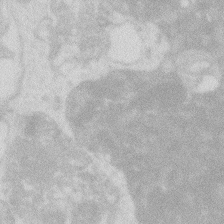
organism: Zebrafish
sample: Macrophage